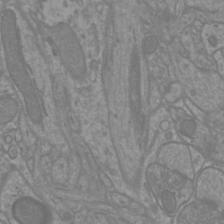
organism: Mouse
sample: Cortical neurons